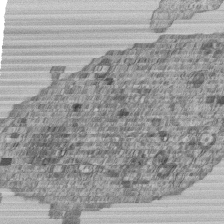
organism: Human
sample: MDA-MB-231 cells